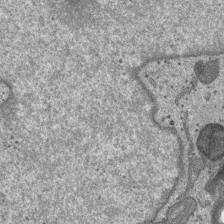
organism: Human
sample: Lung epithelial cells infected with SARS-CoV-2